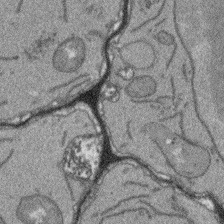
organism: Arabidopsis thaliana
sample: Root tip